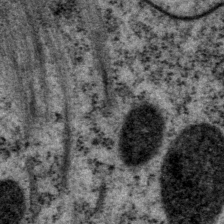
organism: P. pacificus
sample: Pharynx